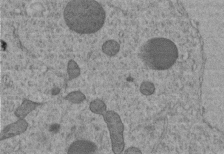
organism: C. elegans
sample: C. elegans embryo early stage